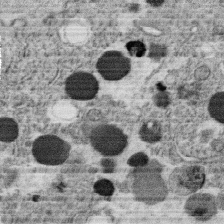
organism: C. elegans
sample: C. elegans oocyte; sperm cells